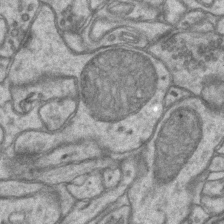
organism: Mouse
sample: CA1 Hippocampus